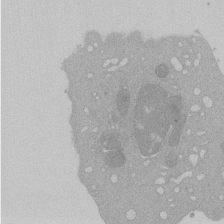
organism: Mouse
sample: Activated Pmel transgenic CD8+ T Cells